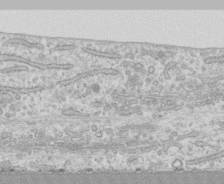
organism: Human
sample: CRL-1474